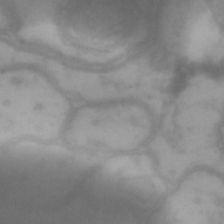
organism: Drosophila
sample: Brain